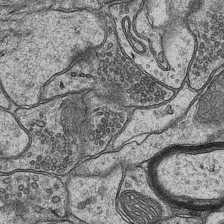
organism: Mouse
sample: CA1 Hippocampus